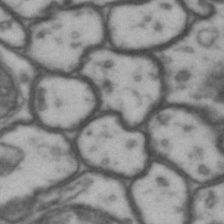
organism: Drosophila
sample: Brain